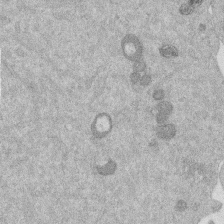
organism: Mouse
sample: Dividing mouse embryo 1 cell stage